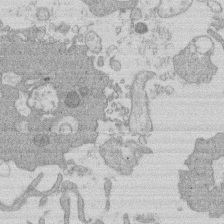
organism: Human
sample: Macrophage cells